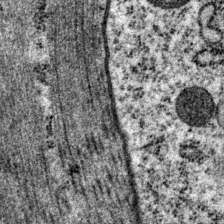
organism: P. pacificus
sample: Pharynx